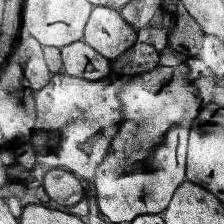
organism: Human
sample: Temporal Lobe